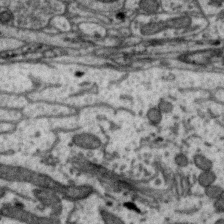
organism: Zebra finch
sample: Brain